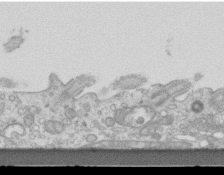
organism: Mouse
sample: Centriole in ependymal cells